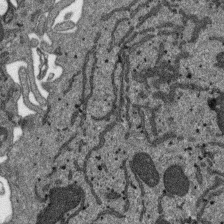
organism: Human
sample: Lung epithelial cells infected with SARS-CoV-2